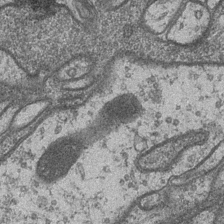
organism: Drosophila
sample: Optic medulla